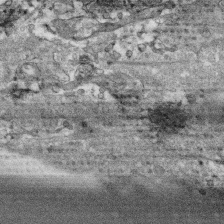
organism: Human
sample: CRL-1474